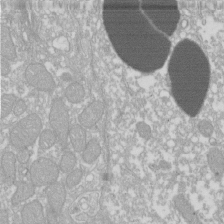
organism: Xenopus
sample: Cilia; centrioles in frog embryo cells